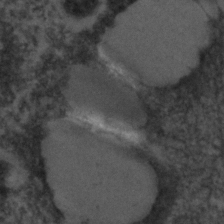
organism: C. elegans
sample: C. elegans embryo